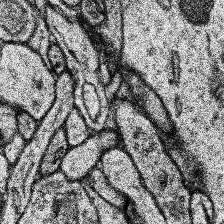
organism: Human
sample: Temporal Lobe